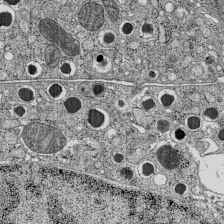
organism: C57BL Mouse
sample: Pancreatic islet